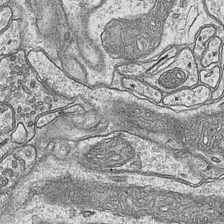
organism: Mouse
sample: CA1 Hippocampus